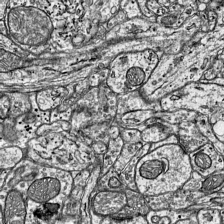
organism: Mouse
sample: Visual Cortex